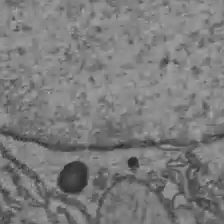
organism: C57BL Mouse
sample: Liver